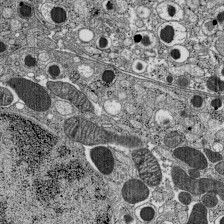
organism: C57BL Mouse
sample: Pancreatic islet